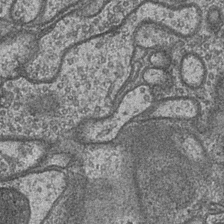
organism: Drosophila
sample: Optic medulla